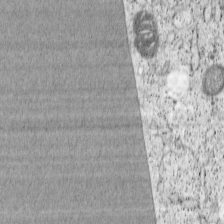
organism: African green monkey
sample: COS-7 cells